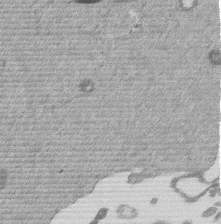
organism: Mouse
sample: Dividing mouse embryo 1 cell stage